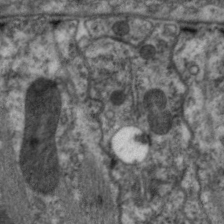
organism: C. elegans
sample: Pharynx